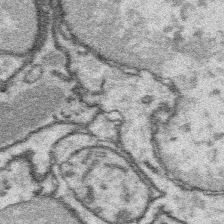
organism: Platynereis dumerilii